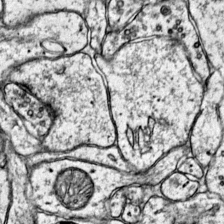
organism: Mouse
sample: Primary visual cortex